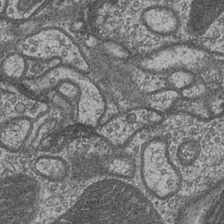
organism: Drosophila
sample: Optic medulla